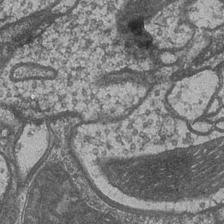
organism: Drosophila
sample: Optic medulla